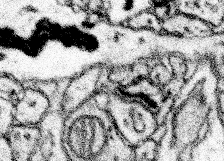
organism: Mouse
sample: Somatosensory cortex neuropil